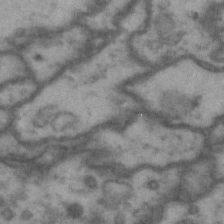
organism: Drosophila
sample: Brain